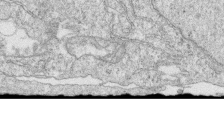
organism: Human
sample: HeLa cell HIV synapse